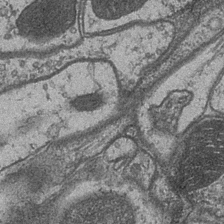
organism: Drosophila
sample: Optic medulla